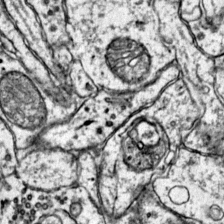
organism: Mouse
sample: Primary visual cortex